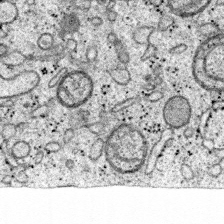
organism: Human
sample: HeLa cells